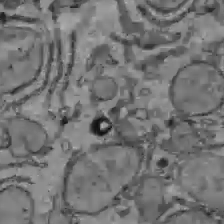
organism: C57BL Mouse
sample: Liver